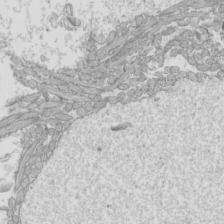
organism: Mouse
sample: Cilia; mouse epididymis